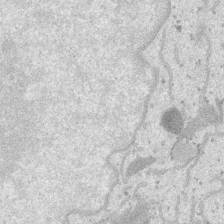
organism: Human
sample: Lung epithelial cells infected with SARS-CoV-2